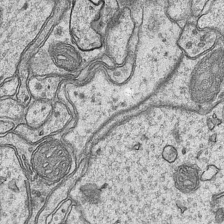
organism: Mouse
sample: CA1 Hippocampus